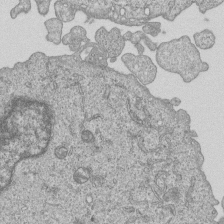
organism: Human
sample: MDA-MB-231 cells